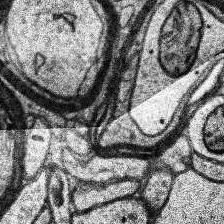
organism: Human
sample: Temporal Lobe